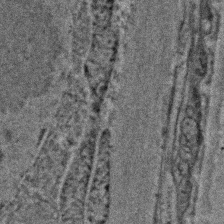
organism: C. elegans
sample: C. elegans embryo